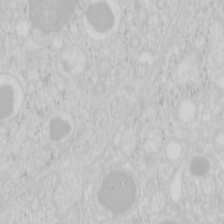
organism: Mouse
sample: Pancreas